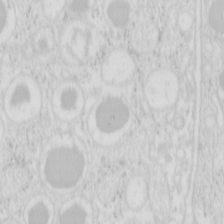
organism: Mouse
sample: Pancreas